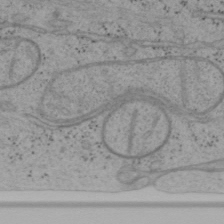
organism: Human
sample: HeLa cells